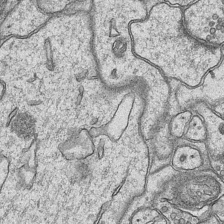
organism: Mouse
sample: CA1 Hippocampus